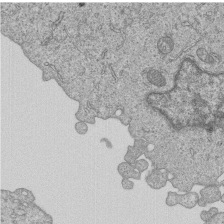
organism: Human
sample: MDA-MB-231 cells